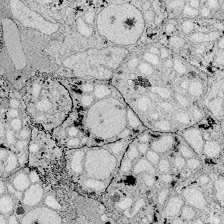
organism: Zebrafish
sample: Whole-Brain